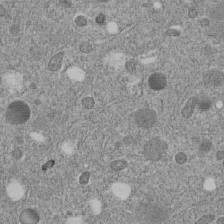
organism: C. elegans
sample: C. elegans embryo early stage